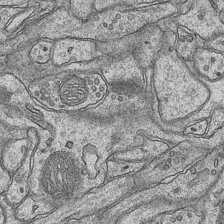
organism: Mouse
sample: CA1 Hippocampus